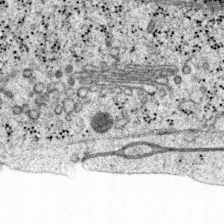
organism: Human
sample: HeLa cells